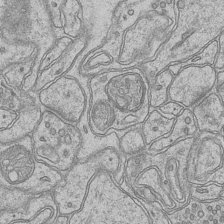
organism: Mouse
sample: CA1 Hippocampus